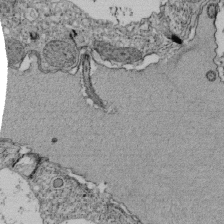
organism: Tetrahymena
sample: Cilia in tetrahymena